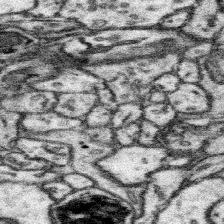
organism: Mouse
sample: Somatosensory cortex neuropil